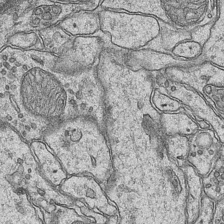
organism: Mouse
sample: CA1 Hippocampus